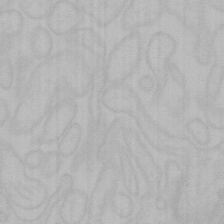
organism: Mouse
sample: Choroid plexus